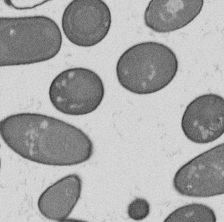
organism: B. subtilis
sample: Bacterial spore